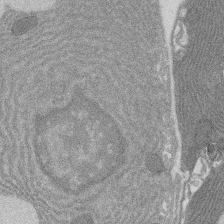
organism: Rat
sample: Salivary granule